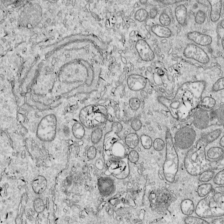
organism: Drosophila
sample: Cell division; meiosis; drosophila spermatocytes